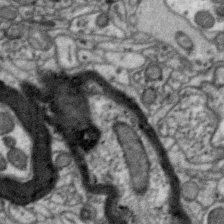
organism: Zebra finch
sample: Brain